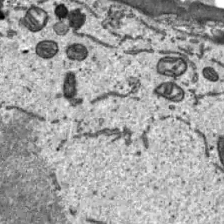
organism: Human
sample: HeLa cells